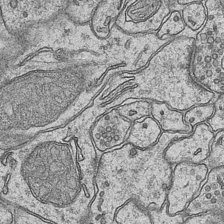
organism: Mouse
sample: CA1 Hippocampus